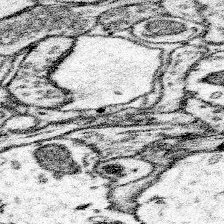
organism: Mouse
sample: Somatosensory cortex neuropil